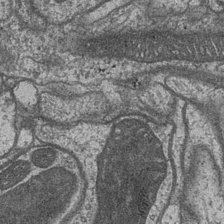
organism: Drosophila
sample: Optic medulla